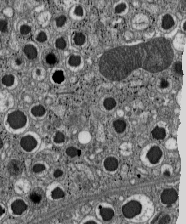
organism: C57BL Mouse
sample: Pancreatic islet